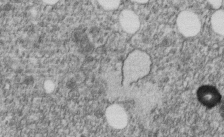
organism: C. elegans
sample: C. elegans embryo early stage